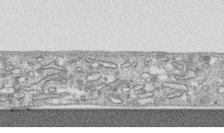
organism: Human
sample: CRL-1474